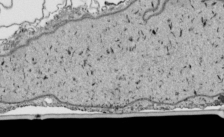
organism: Human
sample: Mitochondria in HCT116 cells